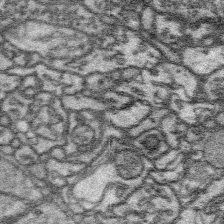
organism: Platynereis dumerilii